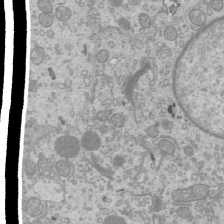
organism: Mouse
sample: Cilia; mouse epididymis